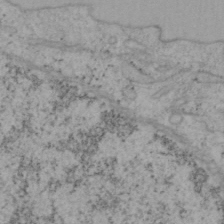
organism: Human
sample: HeLa cells